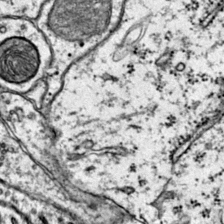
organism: Mouse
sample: Primary visual cortex